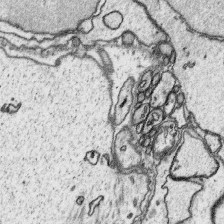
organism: Platynereis dumerilii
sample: Parapodia